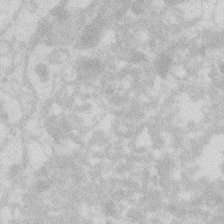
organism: Zebrafish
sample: Macrophage